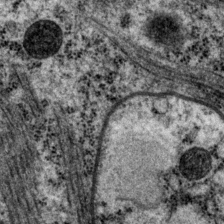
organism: P. pacificus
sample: Pharynx